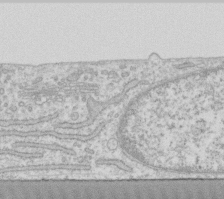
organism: Human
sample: Fibroblast cells